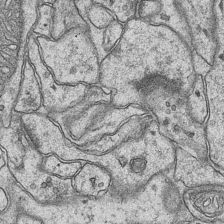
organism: Mouse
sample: CA1 Hippocampus